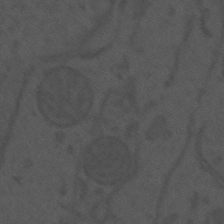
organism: Mouse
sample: Suprachiasmatic nucleus